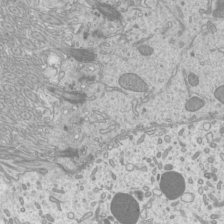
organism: Mouse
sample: Cilia; mouse epididymis